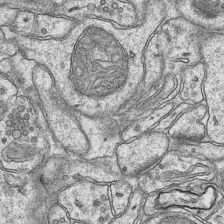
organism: Mouse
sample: CA1 Hippocampus